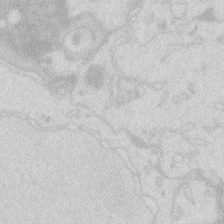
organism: Zebrafish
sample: Macrophage